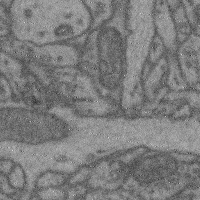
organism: Mouse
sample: Cerebral cortex